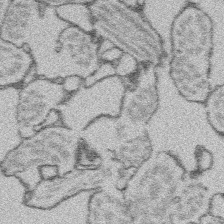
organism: Platynereis dumerilii